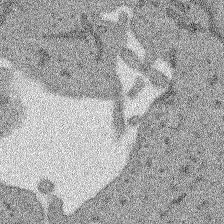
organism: Human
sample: HeLa cells